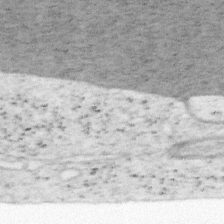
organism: Mouse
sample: OT-I killer T cells with ID8 ovarian cancer cells